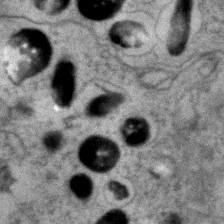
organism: Zebrafish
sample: Zebrafish embryo